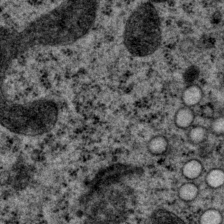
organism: P. pacificus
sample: Pharynx